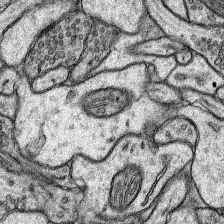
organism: Rat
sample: Hippocampus